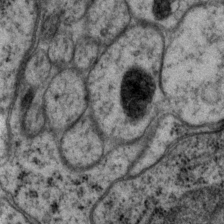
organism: P. pacificus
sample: Pharynx